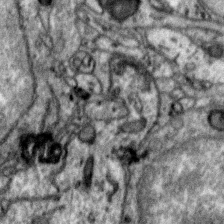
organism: Zebra finch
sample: Brain